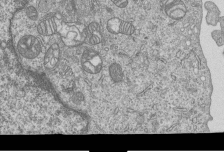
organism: Human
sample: MDA-MB-231 cells